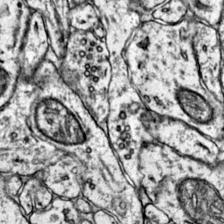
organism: Mouse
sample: Primary visual cortex